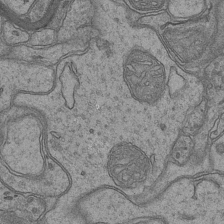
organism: Mouse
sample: CA1 Hippocampus